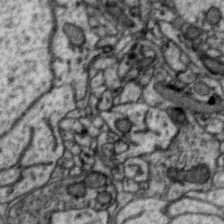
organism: Zebra finch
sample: Brain